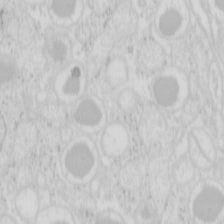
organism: Mouse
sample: Pancreas